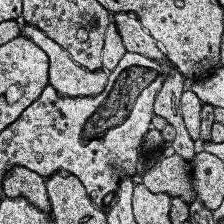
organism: Human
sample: Temporal Lobe